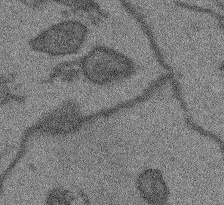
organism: Arabidopsis thaliana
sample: Root tip